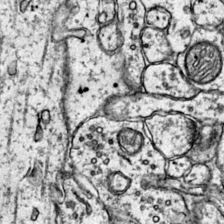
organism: Mouse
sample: Primary visual cortex